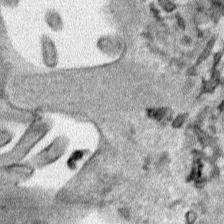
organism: Human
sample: Mitochondria in HCT116 cells